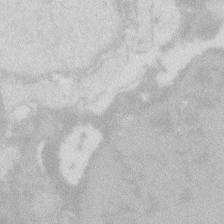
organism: Zebrafish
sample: Macrophage